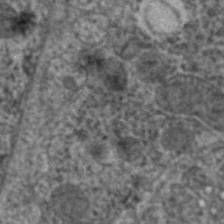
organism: C. elegans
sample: Pharynx